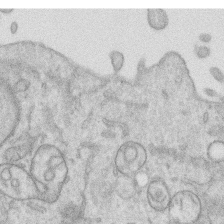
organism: Human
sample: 1205lu cells